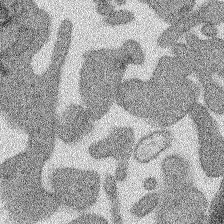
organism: Human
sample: HeLa cells